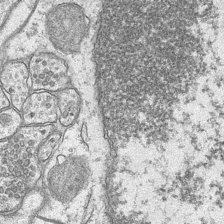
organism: Mouse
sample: CA1 Hippocampus